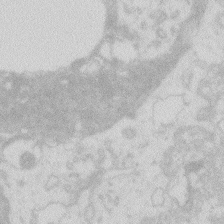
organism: Zebrafish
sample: Macrophage